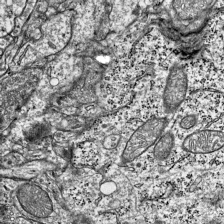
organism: Mouse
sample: Visual Cortex